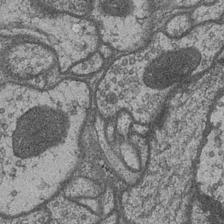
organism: Drosophila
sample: Optic medulla